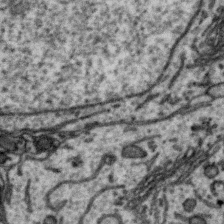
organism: Zebra finch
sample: Brain